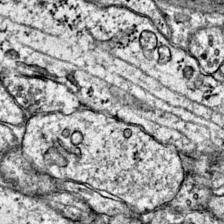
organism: Mouse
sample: Primary visual cortex